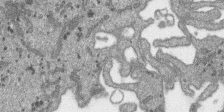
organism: Human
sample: Lung epithelial cells infected with SARS-CoV-2